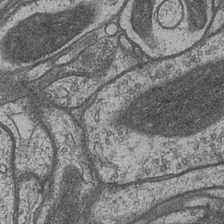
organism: Drosophila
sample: Optic medulla